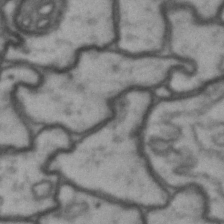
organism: Drosophila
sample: Brain